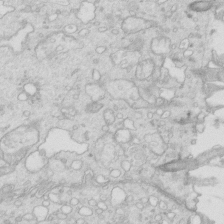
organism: Mouse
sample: Multiciliated cells